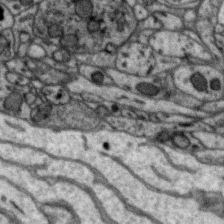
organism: Zebra finch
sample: Brain